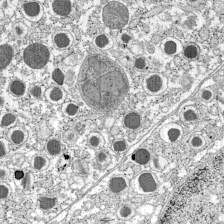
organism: C57BL Mouse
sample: Pancreatic islet